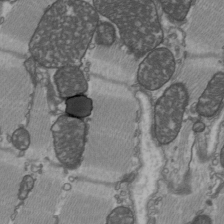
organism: C57BL Mouse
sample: Heart